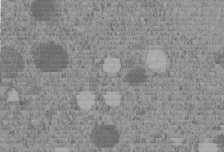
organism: C. elegans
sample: C. elegans embryo early stage